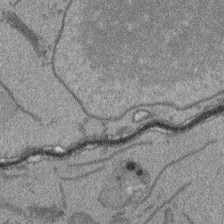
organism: Arabidopsis thaliana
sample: Root tip